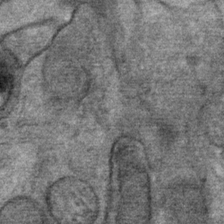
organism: Mouse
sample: Mouse Salivary gland